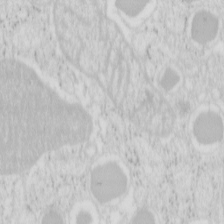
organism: Mouse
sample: Pancreas